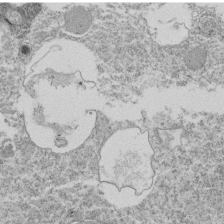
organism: Tetrahymena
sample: Cilia in tetrahymena